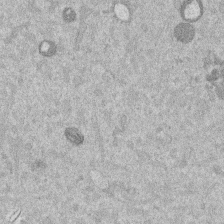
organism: Mouse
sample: Dividing mouse embryo 1 cell stage